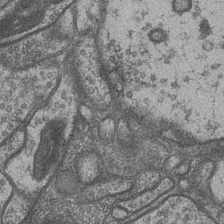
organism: Drosophila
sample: Optic medulla